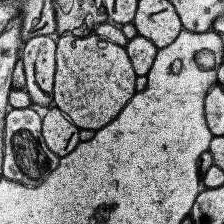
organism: Human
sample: Temporal Lobe